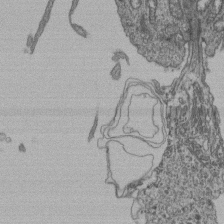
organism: Human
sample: Retinal organoid Rod and Cone cells